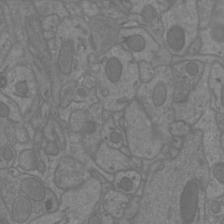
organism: Mouse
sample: Cortical neurons